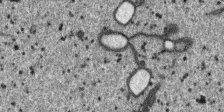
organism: Human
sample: Lung epithelial cells infected with SARS-CoV-2